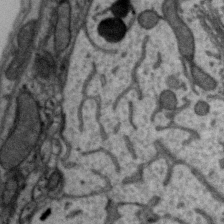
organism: Zebra finch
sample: Brain